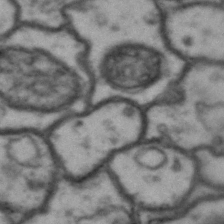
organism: Drosophila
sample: Brain